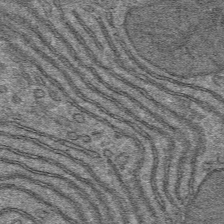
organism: Mouse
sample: Mouse hepatocytes